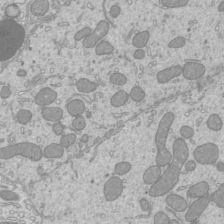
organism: Mouse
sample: Cilia; mouse epididymis